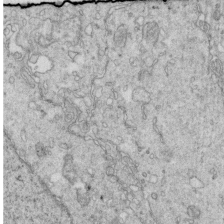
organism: Mouse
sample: Multiciliated cells